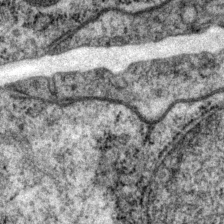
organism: P. pacificus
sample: Pharynx